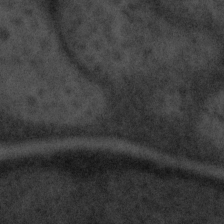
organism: Tuwongella immobilis